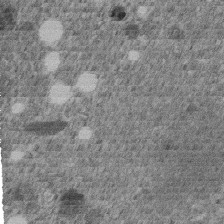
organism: C. elegans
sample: C. elegans embryo early stage